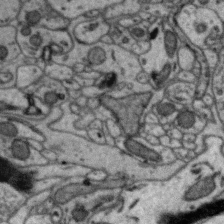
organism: Zebra finch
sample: Brain